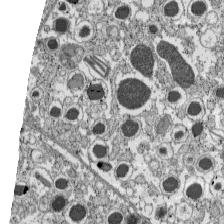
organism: C57BL Mouse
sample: Pancreatic islet